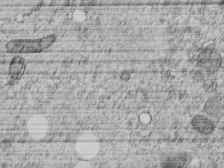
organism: C. elegans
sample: C. elegans embryo early stage